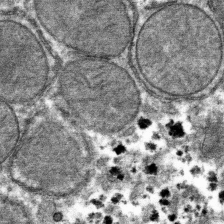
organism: Mouse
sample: Mouse hepatocytes